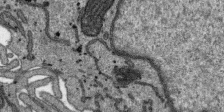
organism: Human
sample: Lung epithelial cells, uninfected (mock) control